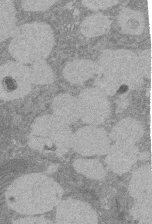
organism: Rat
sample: Salivary granule